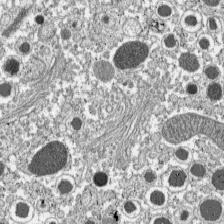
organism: C57BL Mouse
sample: Pancreatic islet